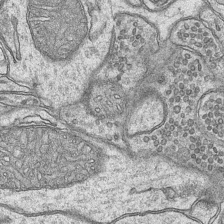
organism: Mouse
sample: CA1 Hippocampus